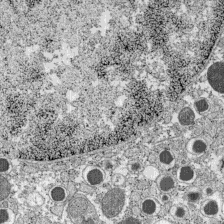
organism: C57BL Mouse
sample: Pancreatic islet